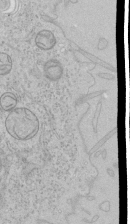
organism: Human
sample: Mitochondria in HCT116 cells